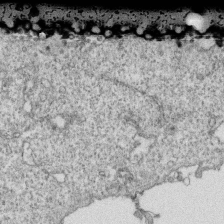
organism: Human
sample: HeLa cell HIV synapse